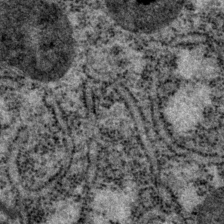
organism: P. pacificus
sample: Pharynx